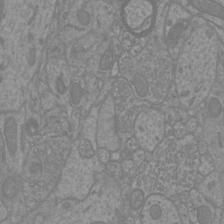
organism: Mouse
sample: Cortical neurons